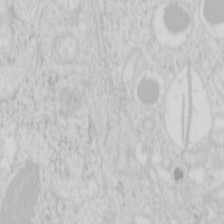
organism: Mouse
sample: Pancreas